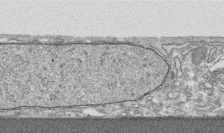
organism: Human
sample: CRL-1474